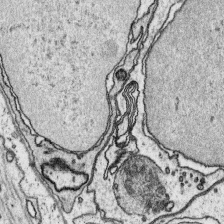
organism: Platynereis dumerilii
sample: Parapodia